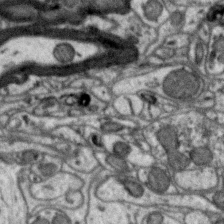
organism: Zebra finch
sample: Brain